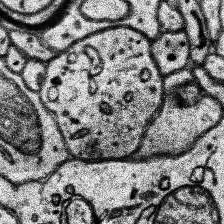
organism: Human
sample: Temporal Lobe